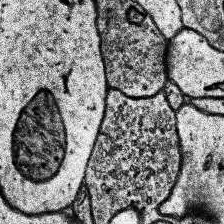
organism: Human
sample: Temporal Lobe